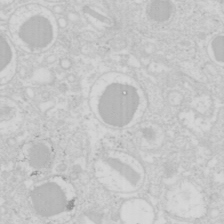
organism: Mouse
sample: Pancreas